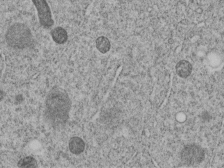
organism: C. elegans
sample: C. elegans embryo early stage